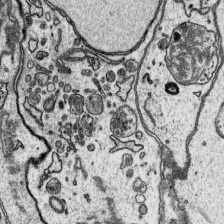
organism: Platynereis dumerilii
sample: Parapodia